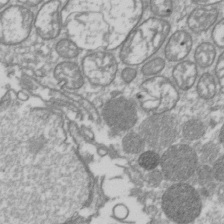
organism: Drosophila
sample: Cell division; meiosis; drosophila spermatocytes